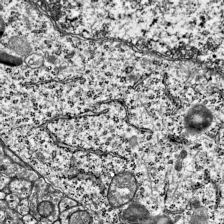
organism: Mouse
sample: Visual Cortex